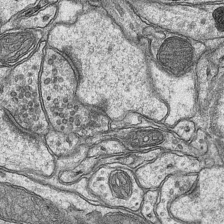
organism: Mouse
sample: CA1 Hippocampus